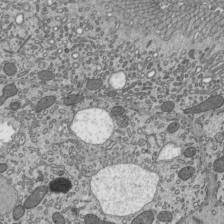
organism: Mouse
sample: Mouse epididymis efferent ductule cilia